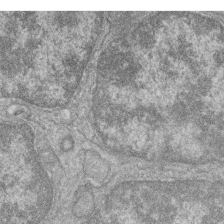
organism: Zebrafish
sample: Cilia; retinal pigment epithelium